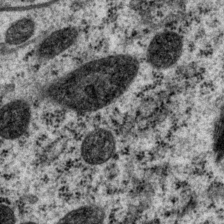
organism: P. pacificus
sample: Pharynx